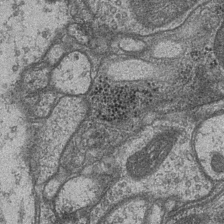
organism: Drosophila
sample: Optic medulla